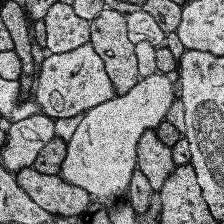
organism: Human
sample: Temporal Lobe